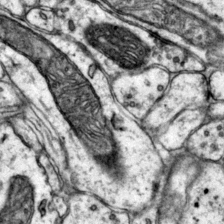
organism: Mouse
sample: Primary visual cortex